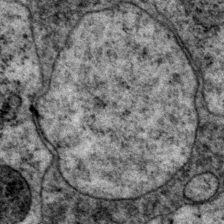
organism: P. pacificus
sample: Pharynx